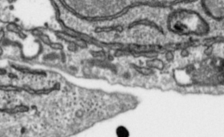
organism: Toxoplasma gondii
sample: Parasites in a vacuole inside a host cell